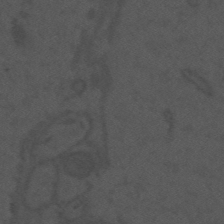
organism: Mouse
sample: Suprachiasmatic nucleus